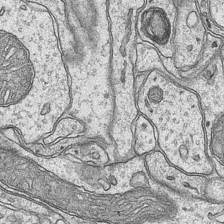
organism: Mouse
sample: CA1 Hippocampus